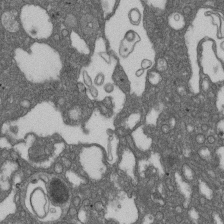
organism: Drosophila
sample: Nephrocyte